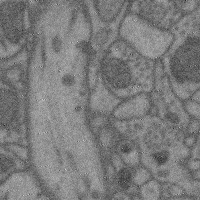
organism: Mouse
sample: Cerebral cortex